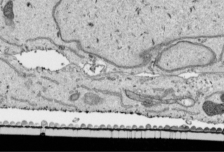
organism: Human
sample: Mitochondria in HCT116 cells